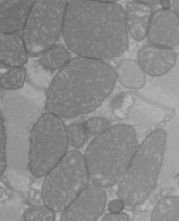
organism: C57BL Mouse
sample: Heart